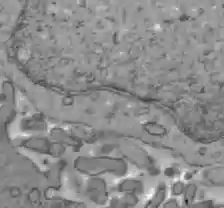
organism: C57BL Mouse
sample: Liver